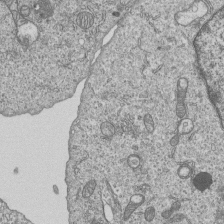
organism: Human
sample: MDA-MB-231 cells